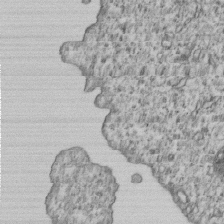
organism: Human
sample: MDA-MB-231 cells